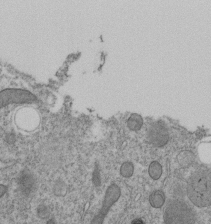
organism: C. elegans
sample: C. elegans embryo early stage